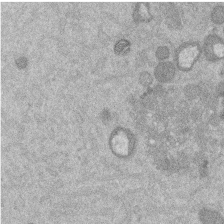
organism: Mouse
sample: Dividing mouse embryo 1 cell stage